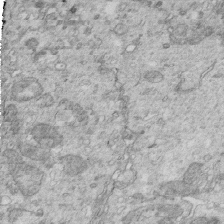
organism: Mouse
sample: Multiciliated cells